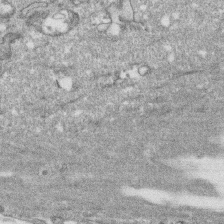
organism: Human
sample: CRL-1474